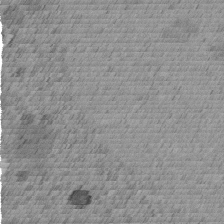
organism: C. elegans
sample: C. elegans embryo early stage